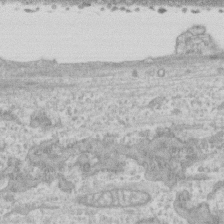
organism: Human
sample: CRL-1474